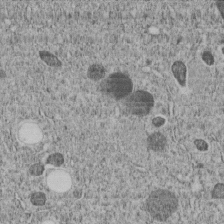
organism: C. elegans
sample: C. elegans embryo early stage